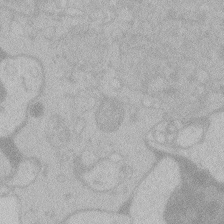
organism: Zebrafish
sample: Macrophage infected with Toxoplasma gondii